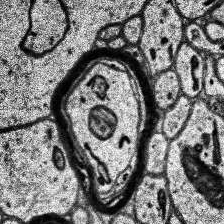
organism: Human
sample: Temporal Lobe